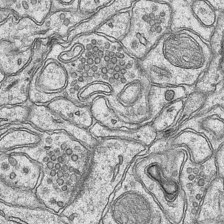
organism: Mouse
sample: CA1 Hippocampus